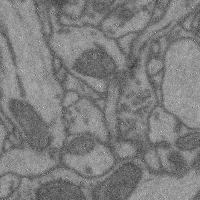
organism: Mouse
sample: Cerebral cortex